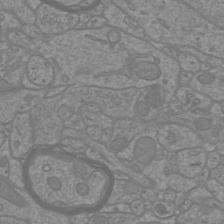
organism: Mouse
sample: Cortical neurons